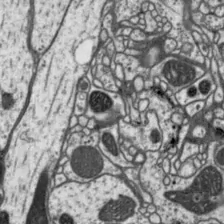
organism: Drosophila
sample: Protocerebral bridge